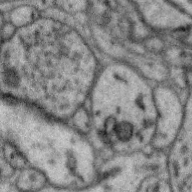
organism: Zebra finch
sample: Brain